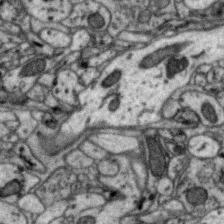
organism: Zebra finch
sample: Brain